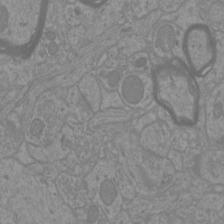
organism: Mouse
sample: Cortical neurons